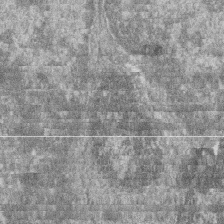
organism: Zebrafish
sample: Cilia; retinal pigment epithelium